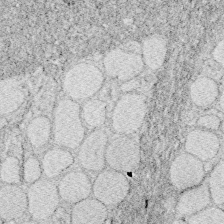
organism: Zebrafish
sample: Whole-Brain